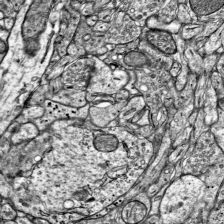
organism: Mouse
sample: Visual Cortex